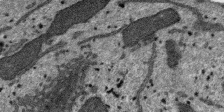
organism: Human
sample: Lung epithelial cells, uninfected (mock) control